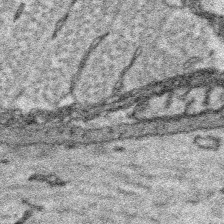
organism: Platynereis dumerilii